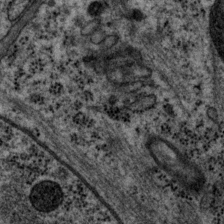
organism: P. pacificus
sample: Pharynx